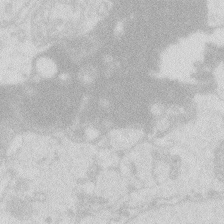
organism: Zebrafish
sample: Macrophage